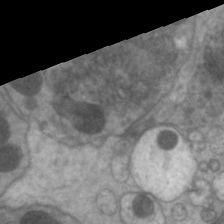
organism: C. elegans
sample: Pharynx